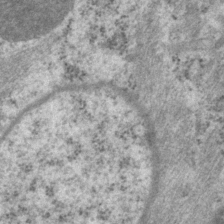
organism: P. pacificus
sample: Pharynx